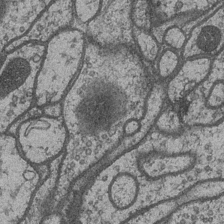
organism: Drosophila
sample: Optic medulla